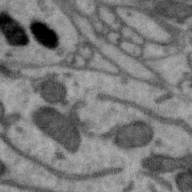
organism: Zebra finch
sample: Brain